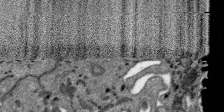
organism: Human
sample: Lung epithelial cells, uninfected (mock) control